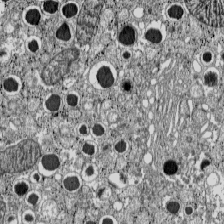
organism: C57BL Mouse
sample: Pancreatic islet